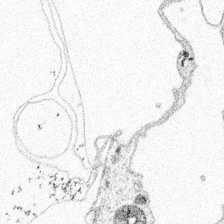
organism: Spongilla lacustris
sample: Multiple